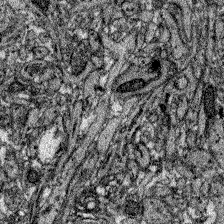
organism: Zebrafish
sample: Larval olfactory bulb